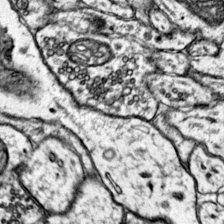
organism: Mouse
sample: Primary visual cortex